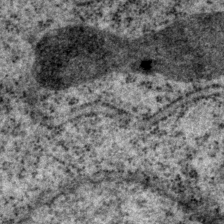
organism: P. pacificus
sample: Pharynx